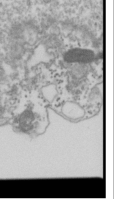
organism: Drosophila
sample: Cell division; meiosis; drosophila spermatocytes